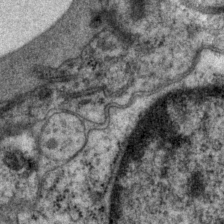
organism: P. pacificus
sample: Pharynx